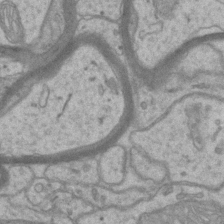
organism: Mouse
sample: CA1 Hippocampus